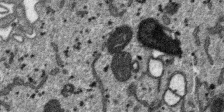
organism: Human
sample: Lung epithelial cells infected with SARS-CoV-2